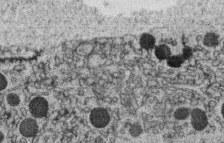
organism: C. elegans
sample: C. elegans oocyte; sperm cells